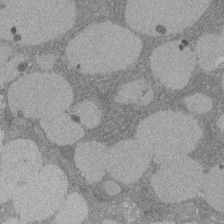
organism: Rat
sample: Salivary granule